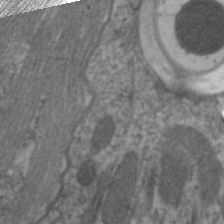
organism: C. elegans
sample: Pharynx